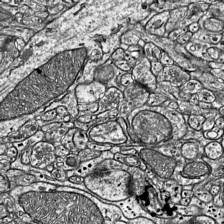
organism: Mouse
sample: Visual Cortex